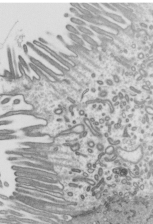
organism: Mouse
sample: Mouse epididymis efferent ductule cilia